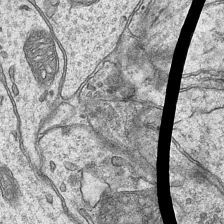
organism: Mouse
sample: CA1 Hippocampus